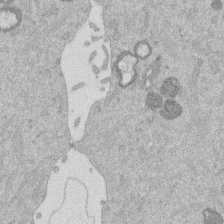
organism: Mouse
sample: Dividing mouse embryo 1 cell stage